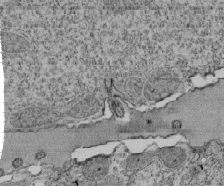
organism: Tetrahymena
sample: Cilia in tetrahymena